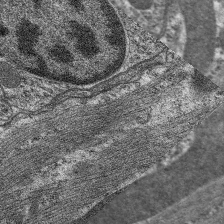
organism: C. elegans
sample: Pharynx